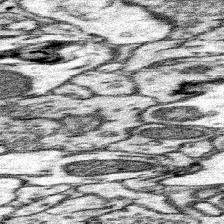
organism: Mouse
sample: Somatosensory cortex neuropil